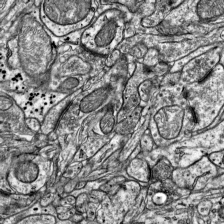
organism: Mouse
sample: Visual Cortex